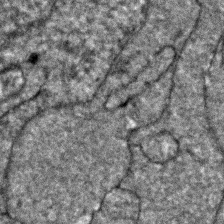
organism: Zebrafish